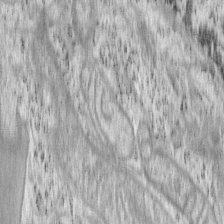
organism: Human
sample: HeLa cells